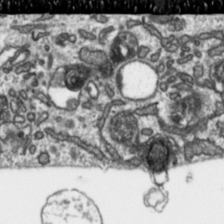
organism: Toxoplasma gondii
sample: Parasites in a vacuole inside a host cell